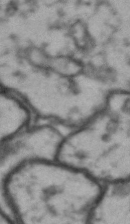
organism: Drosophila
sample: Brain